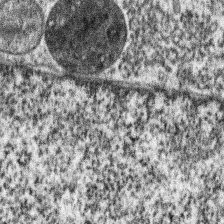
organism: Human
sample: HeLa cells